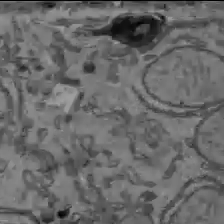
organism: C57BL Mouse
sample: Liver